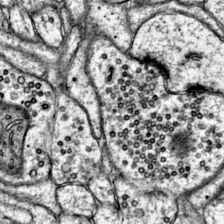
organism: Mouse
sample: Primary visual cortex